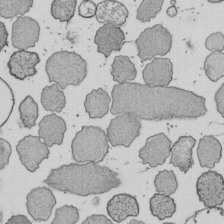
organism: E. coli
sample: Bacterial nucleoid